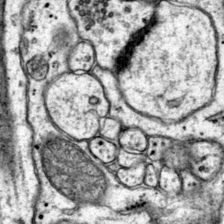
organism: Mouse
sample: Primary visual cortex